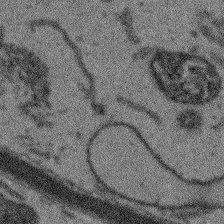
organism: Arabidopsis thaliana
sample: Root tip